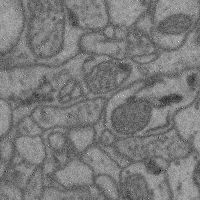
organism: Mouse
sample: Cerebral cortex